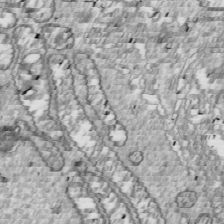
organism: Drosophila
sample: Cell division; meiosis; drosophila spermatocytes